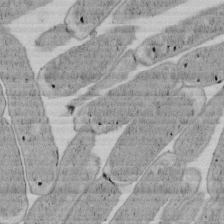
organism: E. coli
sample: Bacterial nucleoid